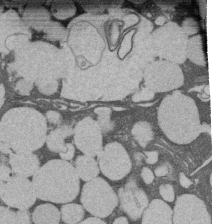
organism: Rat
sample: Salivary granule